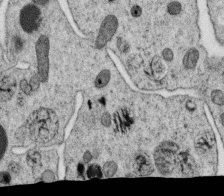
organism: C. elegans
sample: C. elegans oocyte; sperm cells